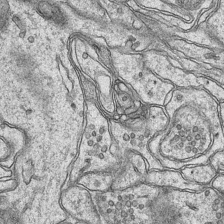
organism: Mouse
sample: CA1 Hippocampus